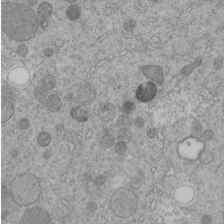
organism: C. elegans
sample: C. elegans embryo early stage